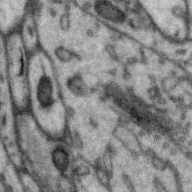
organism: Zebra finch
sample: Brain